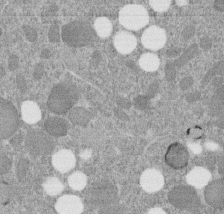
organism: C. elegans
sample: C. elegans embryo early stage